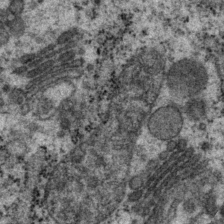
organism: P. pacificus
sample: Pharynx